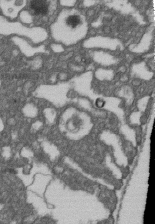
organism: Drosophila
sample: Nephrocyte